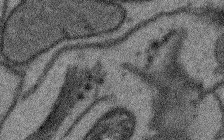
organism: Arabidopsis thaliana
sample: Root tip